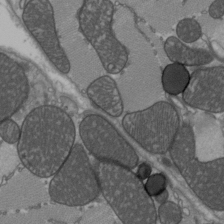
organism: C57BL Mouse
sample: Heart